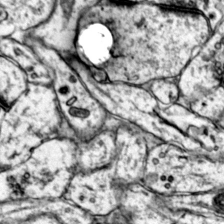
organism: Mouse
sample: Primary visual cortex